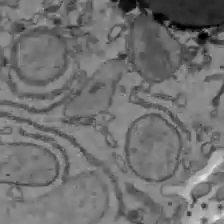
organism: C57BL Mouse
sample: Liver